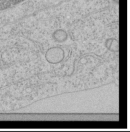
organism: Human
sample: Mitochondria in HCT116 cells